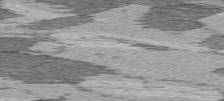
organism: C57BL Mouse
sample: Heart